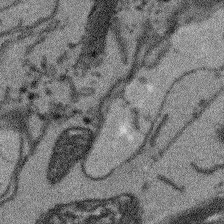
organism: Arabidopsis thaliana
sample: Root tip